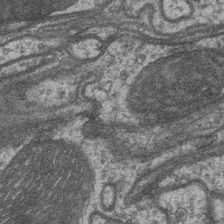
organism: Drosophila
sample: Optic medulla